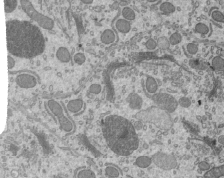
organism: Mouse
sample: Mouse epididymis efferent ductule cilia